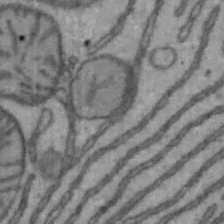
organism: Mouse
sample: Liver